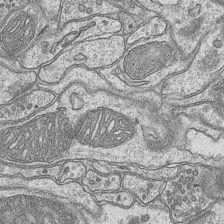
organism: Mouse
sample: CA1 Hippocampus